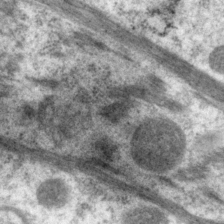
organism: P. pacificus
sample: Pharynx